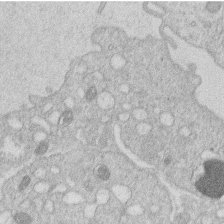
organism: Human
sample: Macrophage cells